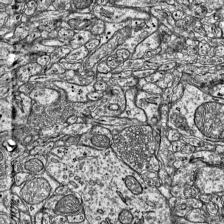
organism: Mouse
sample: Visual Cortex